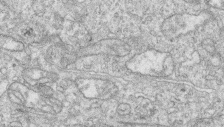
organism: Human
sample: HeLa cell HIV synapse